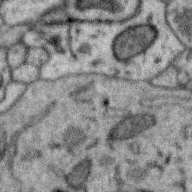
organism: Zebra finch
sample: Brain